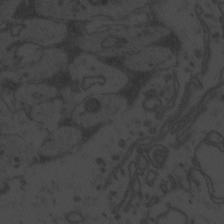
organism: Zebrafish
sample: Macrophage infected with Toxoplasma gondii